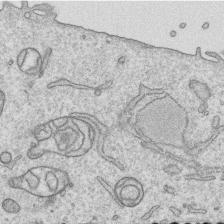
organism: Human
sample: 1205lu cells